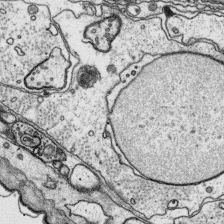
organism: Platynereis dumerilii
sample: Parapodia